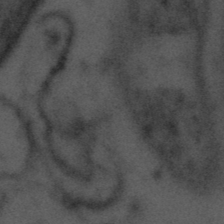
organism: Tuwongella immobilis